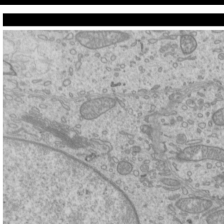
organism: Mouse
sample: Cilia; mouse epididymis